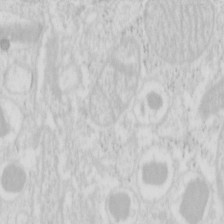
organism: Mouse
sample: Pancreas